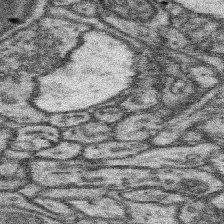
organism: Mouse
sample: Somatosensory cortex neuropil